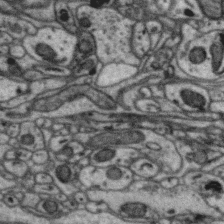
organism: Zebra finch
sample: Brain